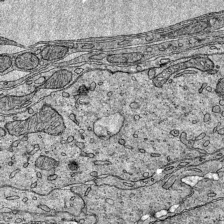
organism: Mouse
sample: Visual Cortex